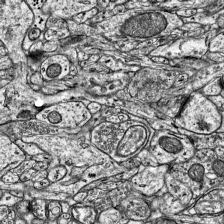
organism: Mouse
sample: Visual Cortex